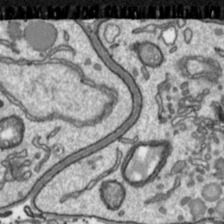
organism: Toxoplasma gondii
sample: Parasites in a vacuole inside a host cell